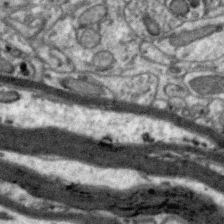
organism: Zebra finch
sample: Brain